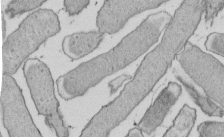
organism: E. coli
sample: Bacterial nucleoid